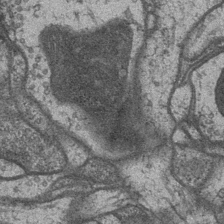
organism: Drosophila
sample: Optic medulla